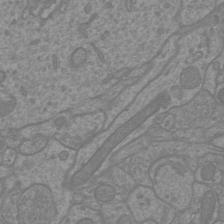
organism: Mouse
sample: Cortical neurons